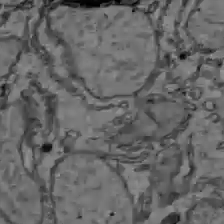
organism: C57BL Mouse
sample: Liver